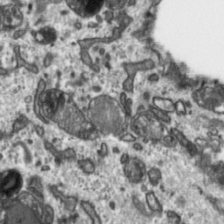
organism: Toxoplasma gondii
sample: Parasites in a vacuole inside a host cell